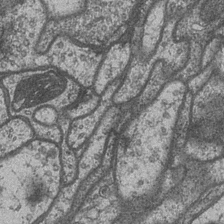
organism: Drosophila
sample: Optic medulla